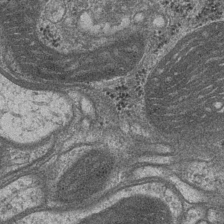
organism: Drosophila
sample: Optic medulla